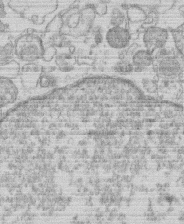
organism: Human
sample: Macrophage cells